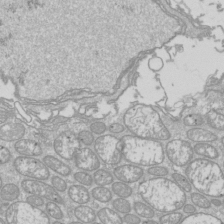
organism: Drosophila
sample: Cell division; meiosis; drosophila spermatocytes